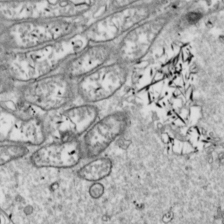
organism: Drosophila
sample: Cell division; meiosis; drosophila spermatocytes